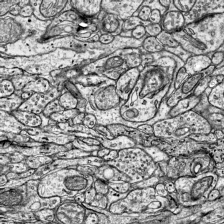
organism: Mouse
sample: Visual Cortex